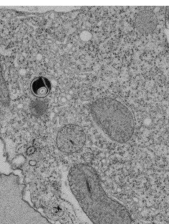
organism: Tetrahymena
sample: Cilia in tetrahymena